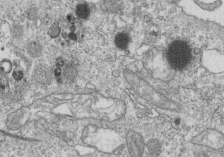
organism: Human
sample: HeLa cell HIV synapse